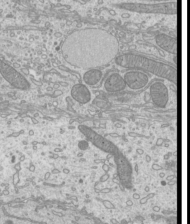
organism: Mouse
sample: Cilia; mouse epididymis